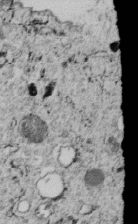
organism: C. elegans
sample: C. elegans embryo early stage